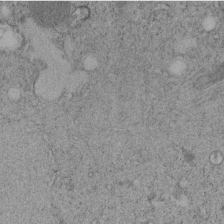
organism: C. elegans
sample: C. elegans embryo early stage